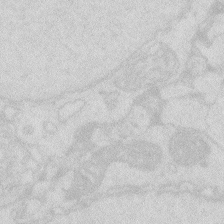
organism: Zebrafish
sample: Macrophage